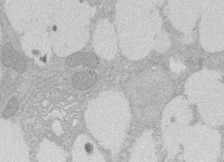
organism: Rat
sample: Salivary granule